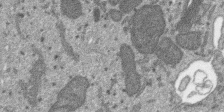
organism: Human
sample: Lung epithelial cells infected with SARS-CoV-2